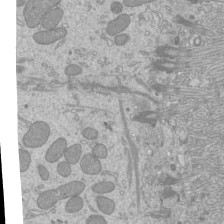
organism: Mouse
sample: Cilia; mouse epididymis